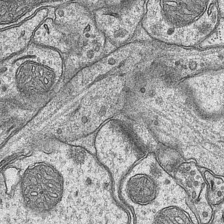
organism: Mouse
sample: CA1 Hippocampus